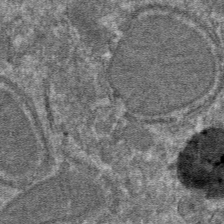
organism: Mouse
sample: Mouse hepatocytes